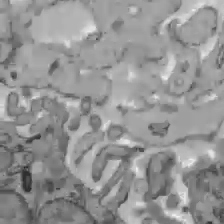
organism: C57BL Mouse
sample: Liver